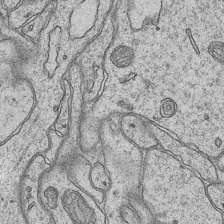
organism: Mouse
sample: CA1 Hippocampus